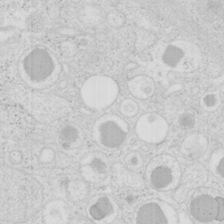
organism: Mouse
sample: Pancreas